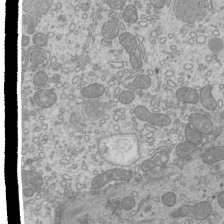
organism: Mouse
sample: Cilia; mouse epididymis